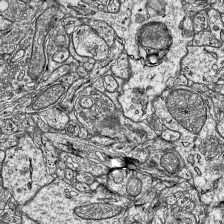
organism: Mouse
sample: Visual Cortex